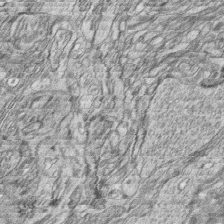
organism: Zebrafish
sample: synaptic ribbons in rod cells and cone cells